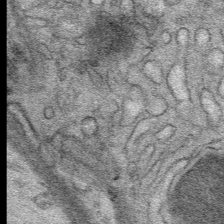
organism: Mouse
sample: Mouse Salivary gland